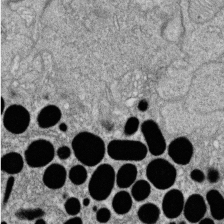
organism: Zebrafish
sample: Cilia; retinal pigment epithelium